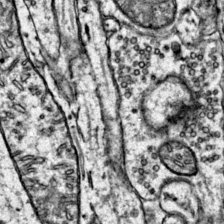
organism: Mouse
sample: Primary visual cortex